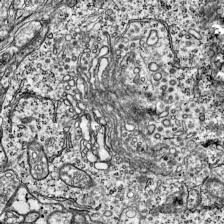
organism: Mouse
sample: Visual Cortex